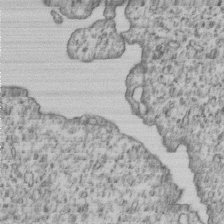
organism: Human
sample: MDA-MB-231 cells